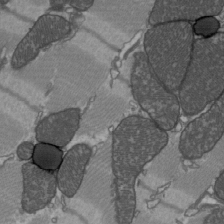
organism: C57BL Mouse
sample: Heart